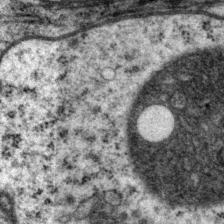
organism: P. pacificus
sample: Pharynx